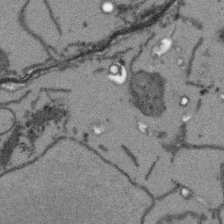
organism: Arabidopsis thaliana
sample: Root tip